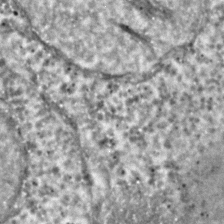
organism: C. elegans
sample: C. elegans embryo